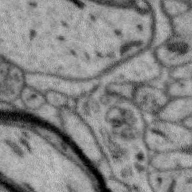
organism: Zebra finch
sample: Brain